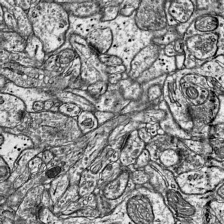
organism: Mouse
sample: Visual Cortex